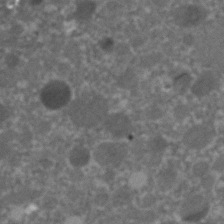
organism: C. elegans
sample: C. elegans embryo